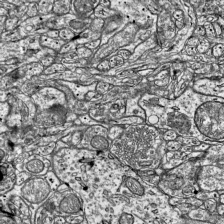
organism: Mouse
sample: Visual Cortex